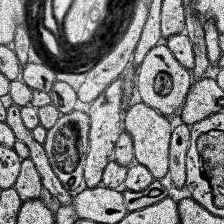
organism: Human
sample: Temporal Lobe